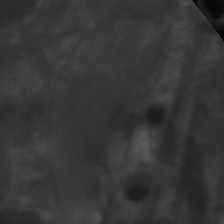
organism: C. elegans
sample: Pharynx